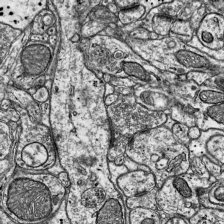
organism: Mouse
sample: Visual Cortex